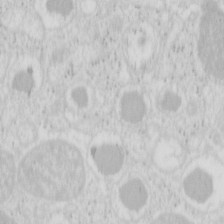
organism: Mouse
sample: Pancreas